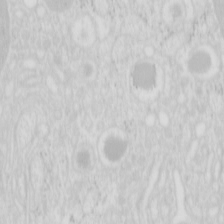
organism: Mouse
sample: Pancreas